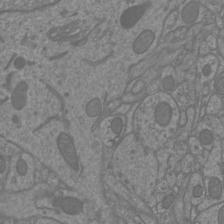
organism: Mouse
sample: Cortical neurons